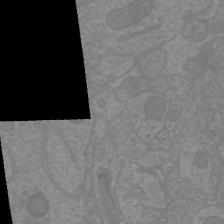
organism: Mouse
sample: Cortical neurons